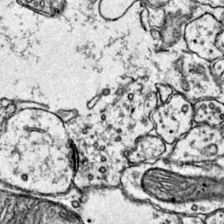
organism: Mouse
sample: Primary visual cortex